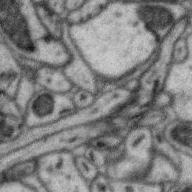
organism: Zebra finch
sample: Brain